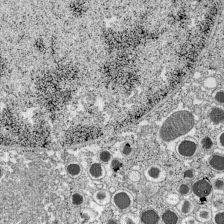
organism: C57BL Mouse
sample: Pancreatic islet